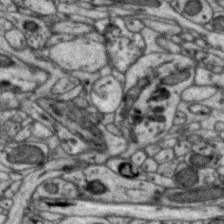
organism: Zebra finch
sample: Brain